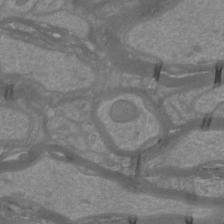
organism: Mouse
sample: Cortical neurons